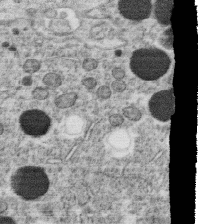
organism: C. elegans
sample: C. elegans oocyte; sperm cells